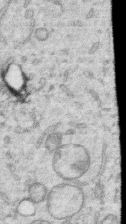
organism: Human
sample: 1205lu cells